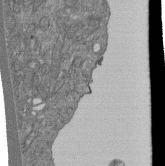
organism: Human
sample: Retinal organoid Rod and Cone cells